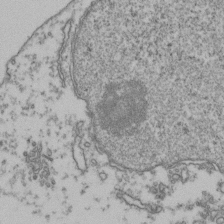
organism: Human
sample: Activated Jurkat CD4+ T cells